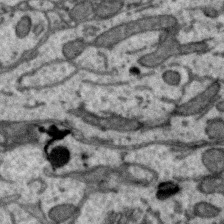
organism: Zebra finch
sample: Brain